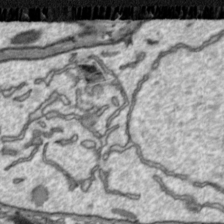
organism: Toxoplasma gondii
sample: Parasites in a vacuole inside a host cell